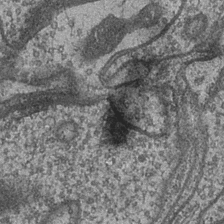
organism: Drosophila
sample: Optic medulla